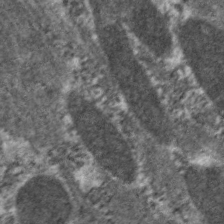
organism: C. elegans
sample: Pharynx